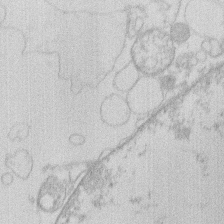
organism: Human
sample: Macrophage cells